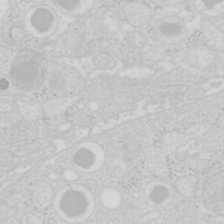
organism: Mouse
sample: Pancreas